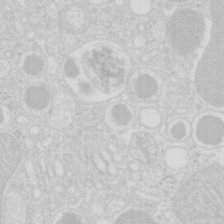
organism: Mouse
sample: Pancreas